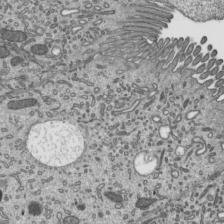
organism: Mouse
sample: Mouse epididymis efferent ductule cilia